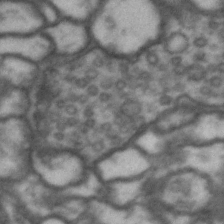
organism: Drosophila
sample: Brain